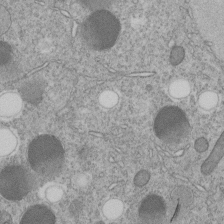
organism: C. elegans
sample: C. elegans embryo early stage